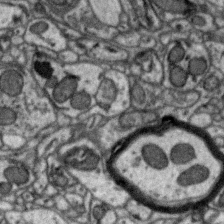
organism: Zebra finch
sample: Brain